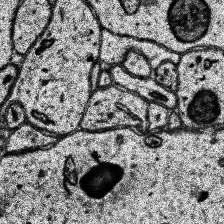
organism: Human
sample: Temporal Lobe